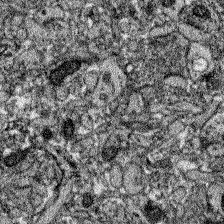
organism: Zebrafish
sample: Larval olfactory bulb